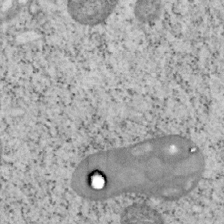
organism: Mouse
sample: OT-I killer T cells with ID8 ovarian cancer cells